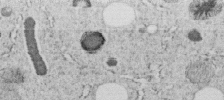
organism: C. elegans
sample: C. elegans embryo early stage